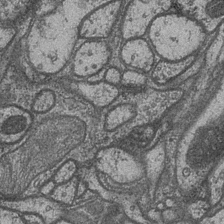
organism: Drosophila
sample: Optic medulla